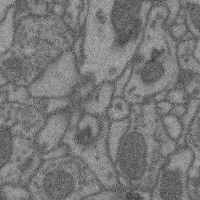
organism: Mouse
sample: Cerebral cortex